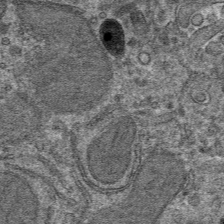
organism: Mouse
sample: Mouse hepatocytes